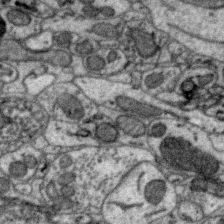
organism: Zebra finch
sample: Brain